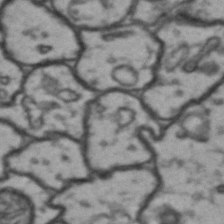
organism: Drosophila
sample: Brain